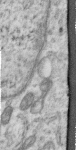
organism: Human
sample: Centriole in RPE cells